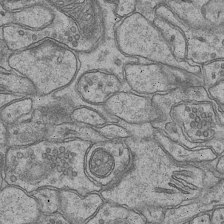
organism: Mouse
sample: CA1 Hippocampus